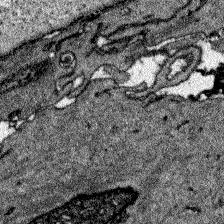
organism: Zebrafish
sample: Larval olfactory bulb